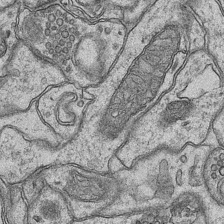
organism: Mouse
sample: CA1 Hippocampus